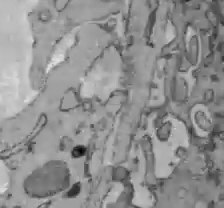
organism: C57BL Mouse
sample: Liver